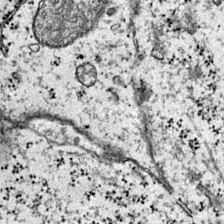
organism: Mouse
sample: Primary visual cortex